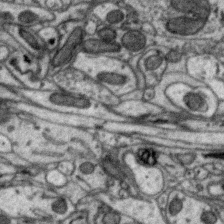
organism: Zebra finch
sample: Brain